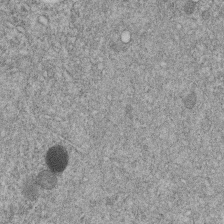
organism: C. elegans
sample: C. elegans embryo early stage